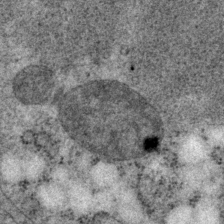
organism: P. pacificus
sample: Pharynx